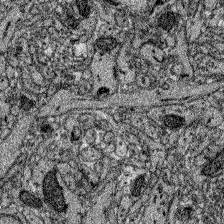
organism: Zebrafish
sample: Larval olfactory bulb